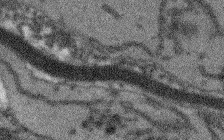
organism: Arabidopsis thaliana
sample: Root tip